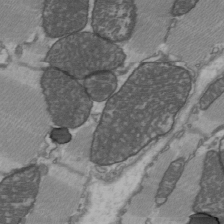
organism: C57BL Mouse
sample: Heart